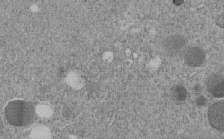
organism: C. elegans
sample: C. elegans embryo early stage